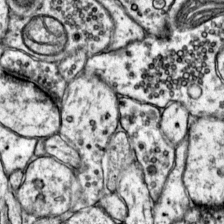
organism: Mouse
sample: Primary visual cortex